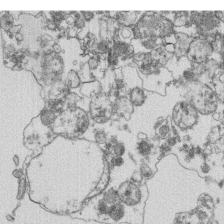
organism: Human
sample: HeLa cell HIV synapse